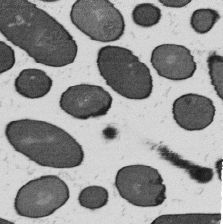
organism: B. subtilis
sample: Bacterial spore